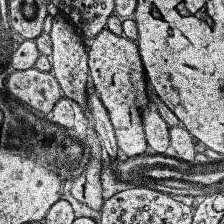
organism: Human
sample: Temporal Lobe